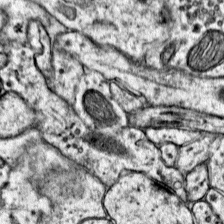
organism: Mouse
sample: Primary visual cortex